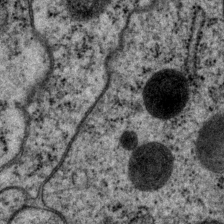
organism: P. pacificus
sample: Pharynx